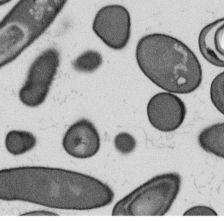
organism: B. subtilis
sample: Bacterial spore